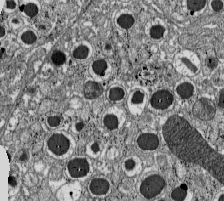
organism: C57BL Mouse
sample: Pancreatic islet